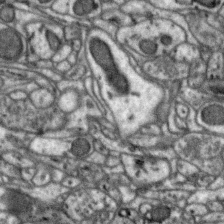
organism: Zebra finch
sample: Brain